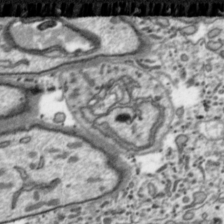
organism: Toxoplasma gondii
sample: Parasites in a vacuole inside a host cell